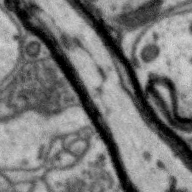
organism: Zebra finch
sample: Brain